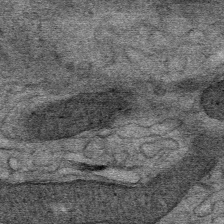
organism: Mouse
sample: Mouse Salivary gland